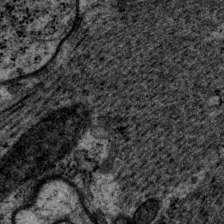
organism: P. pacificus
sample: Pharynx